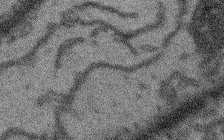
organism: Arabidopsis thaliana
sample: Root tip